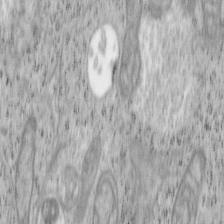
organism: Human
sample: HeLa cells